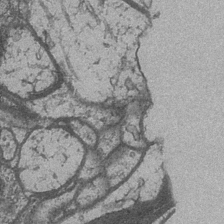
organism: Drosophila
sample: Optic medulla